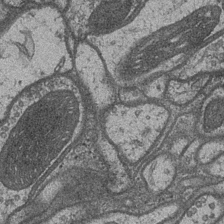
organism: Drosophila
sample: Optic medulla